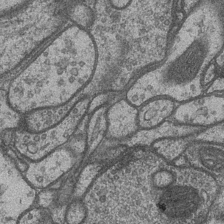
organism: Drosophila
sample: Optic medulla